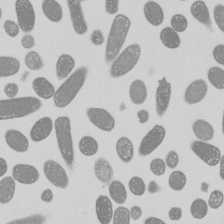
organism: E. coli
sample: Bacterial nucleoid